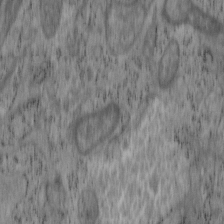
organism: Human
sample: HeLa cells